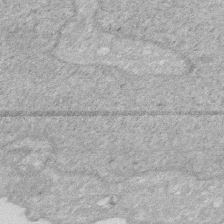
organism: Human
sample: HIV infected U937 cells